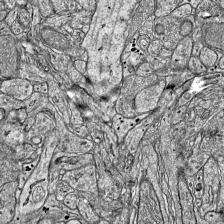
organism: Mouse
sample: Visual Cortex